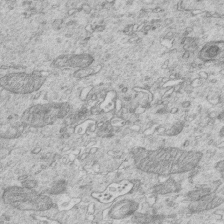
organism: Mouse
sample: Multiciliated cells